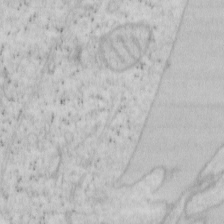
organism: Human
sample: HeLa cells